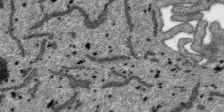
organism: Human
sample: Lung epithelial cells, uninfected (mock) control